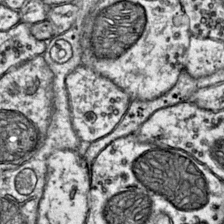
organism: Mouse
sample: Primary visual cortex